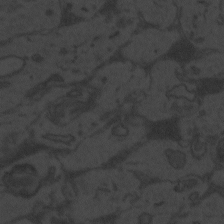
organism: Zebrafish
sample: Macrophage infected with Toxoplasma gondii